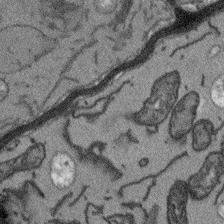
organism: Arabidopsis thaliana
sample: Root tip